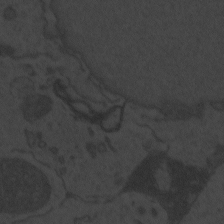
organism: Zebrafish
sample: Macrophage infected with Toxoplasma gondii